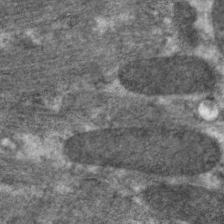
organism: C. elegans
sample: Pharynx